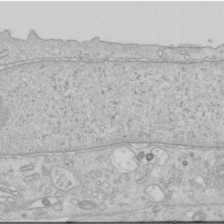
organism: Human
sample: Centriole in RPE cells